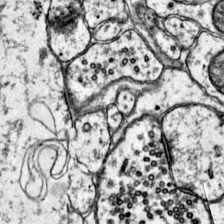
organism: Mouse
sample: Primary visual cortex